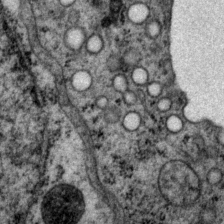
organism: P. pacificus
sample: Pharynx